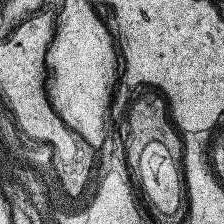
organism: Human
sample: Temporal Lobe